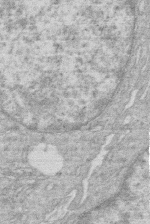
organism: Human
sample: Macrophage cells